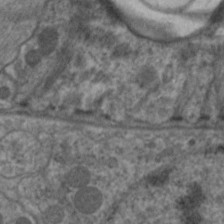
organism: C. elegans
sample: Pharynx